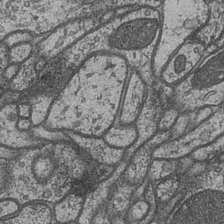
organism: Drosophila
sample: Optic medulla